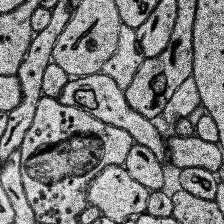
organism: Human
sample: Temporal Lobe